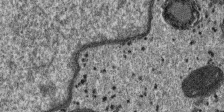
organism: Human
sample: Lung epithelial cells infected with SARS-CoV-2